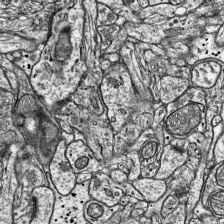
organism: Mouse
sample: Visual Cortex